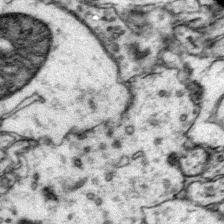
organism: Mouse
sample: Primary visual cortex